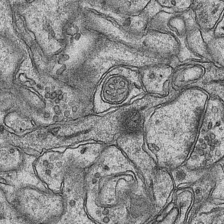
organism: Mouse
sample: CA1 Hippocampus